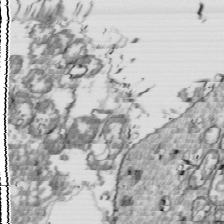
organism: Drosophila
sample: Cell division; meiosis; drosophila spermatocytes